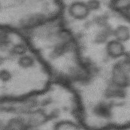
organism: Drosophila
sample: Brain